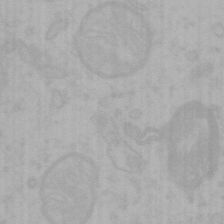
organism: Mouse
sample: Choroid plexus